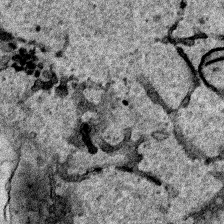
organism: Human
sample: Mitochondria in HCT116 cells